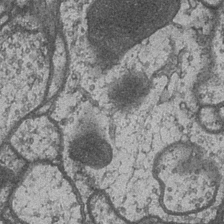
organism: Drosophila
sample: Optic medulla